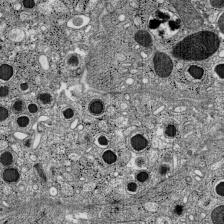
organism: C57BL Mouse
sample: Pancreatic islet